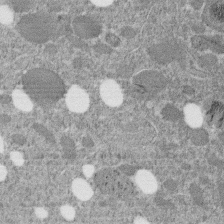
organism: C. elegans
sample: C. elegans embryo early stage